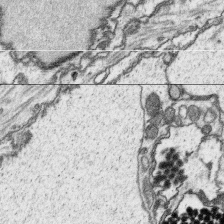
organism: Platynereis dumerilii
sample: Parapodia